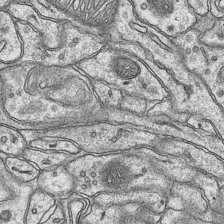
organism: Mouse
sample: CA1 Hippocampus